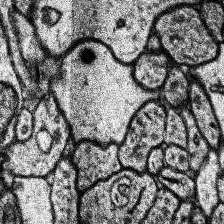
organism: Human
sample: Temporal Lobe